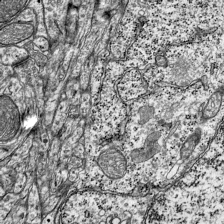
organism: Mouse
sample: Visual Cortex